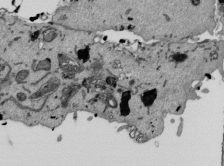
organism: Mouse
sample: ED-1 cell nuclei; centrioles